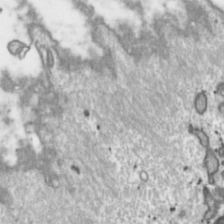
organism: Toxoplasma gondii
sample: Parasites in a vacuole inside a host cell